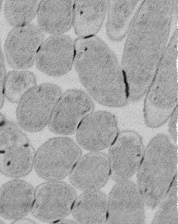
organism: E. coli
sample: Bacterial nucleoid